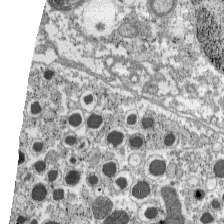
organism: C57BL Mouse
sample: Pancreatic islet